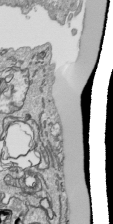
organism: Human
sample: Mitochondria in HCT116 cells